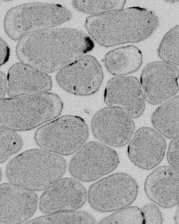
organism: E. coli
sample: Bacterial nucleoid